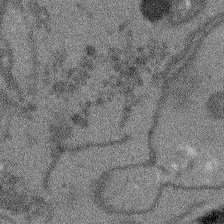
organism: Arabidopsis thaliana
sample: Root tip